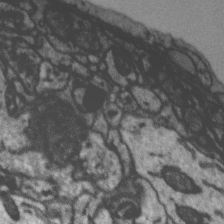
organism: Zebra finch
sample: Brain